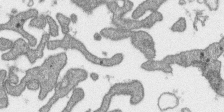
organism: Human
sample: Lung epithelial cells infected with SARS-CoV-2